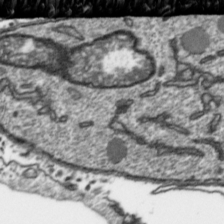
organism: Toxoplasma gondii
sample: Parasites in a vacuole inside a host cell